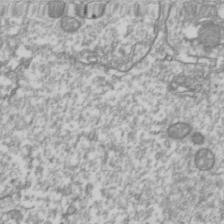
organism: Drosophila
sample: Cell division; meiosis; drosophila spermatocytes